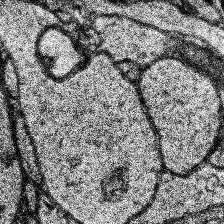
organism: Human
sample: Temporal Lobe